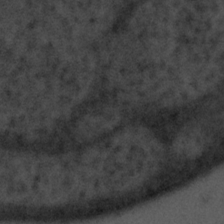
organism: Tuwongella immobilis